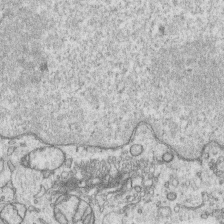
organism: Human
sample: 1205lu cells